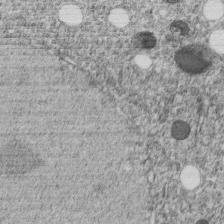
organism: C. elegans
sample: C. elegans embryo early stage